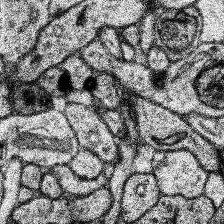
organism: Human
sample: Temporal Lobe